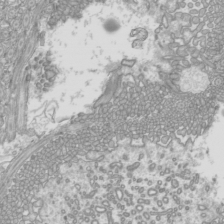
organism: Mouse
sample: Cilia; mouse epididymis